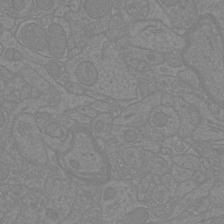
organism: Mouse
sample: Cortical neurons